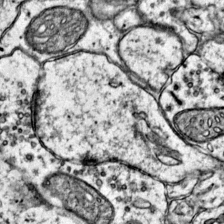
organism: Mouse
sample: Primary visual cortex